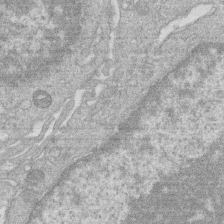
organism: Human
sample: Macrophage cells